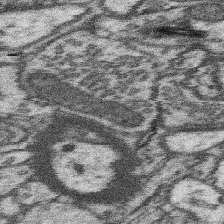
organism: Mouse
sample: Somatosensory cortex neuropil